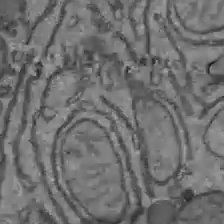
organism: C57BL Mouse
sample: Liver